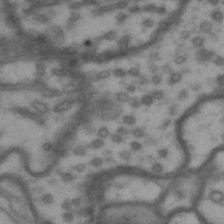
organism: Drosophila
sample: Brain